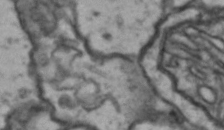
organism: Drosophila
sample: Brain